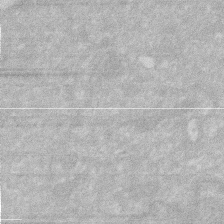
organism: Human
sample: HIV infected U937 cells